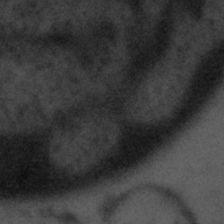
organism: Tuwongella immobilis